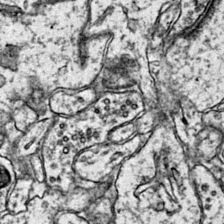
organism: Mouse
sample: Primary visual cortex